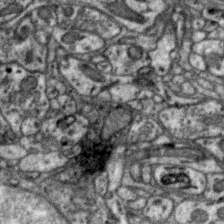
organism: Zebra finch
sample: Brain